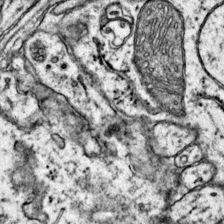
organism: Mouse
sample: Primary visual cortex